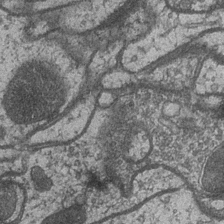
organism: Drosophila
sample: Optic medulla